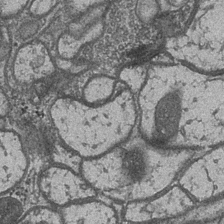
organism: Drosophila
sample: Optic medulla